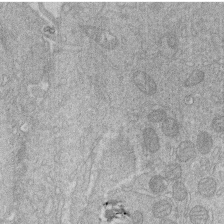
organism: Human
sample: Macrophage cells